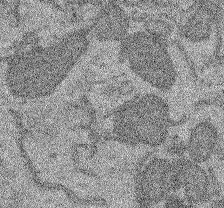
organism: Human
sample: HeLa cells